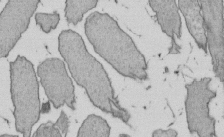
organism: E. coli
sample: Bacterial nucleoid